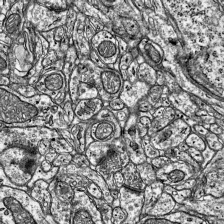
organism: Mouse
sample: Visual Cortex